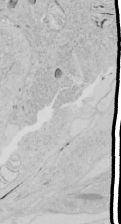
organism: Human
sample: Mitochondria in HCT116 cells